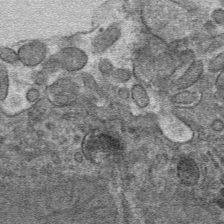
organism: Mouse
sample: Mouse hepatocytes